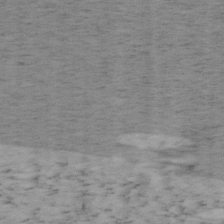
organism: Mouse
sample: OT-I killer T cells with ID8 ovarian cancer cells